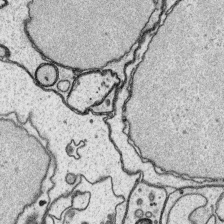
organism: Platynereis dumerilii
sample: Parapodia